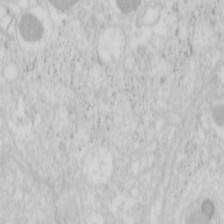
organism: Mouse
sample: Pancreas